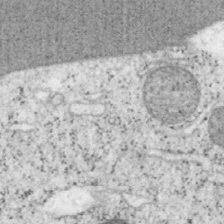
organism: Mouse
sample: OT-I killer T cells with ID8 ovarian cancer cells